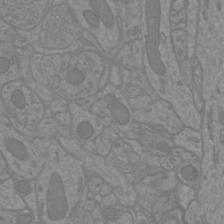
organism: Mouse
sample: Cortical neurons